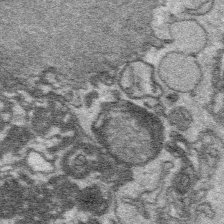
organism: Platynereis dumerilii